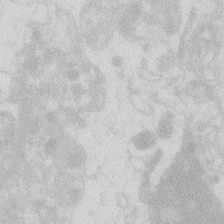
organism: Zebrafish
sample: Macrophage